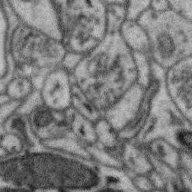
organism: Zebra finch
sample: Brain